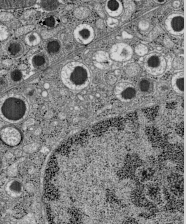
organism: C57BL Mouse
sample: Pancreatic islet